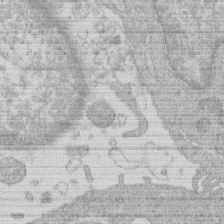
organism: Human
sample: Macrophage cells